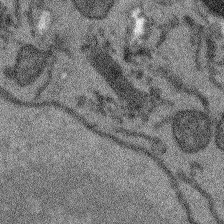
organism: Arabidopsis thaliana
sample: Root tip